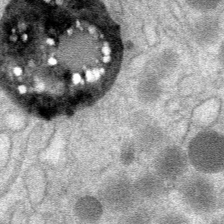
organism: Mouse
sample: Mouse Salivary gland